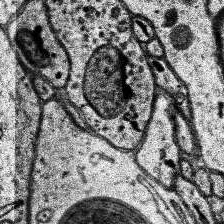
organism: Human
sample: Temporal Lobe